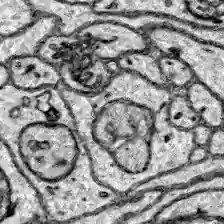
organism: Zebrafish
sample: Brain